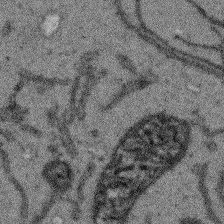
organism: Arabidopsis thaliana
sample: Root tip